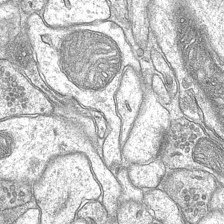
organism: Mouse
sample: CA1 Hippocampus